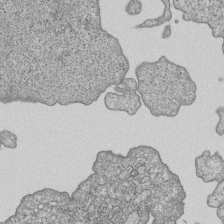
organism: Human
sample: MDA-MB-231 cells